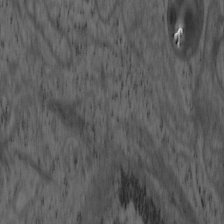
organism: Human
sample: HeLa cells